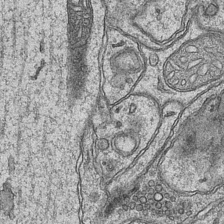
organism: Mouse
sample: CA1 Hippocampus